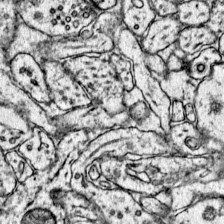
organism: Mouse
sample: Primary visual cortex